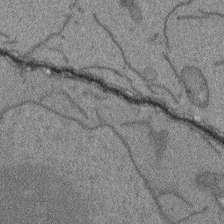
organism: Arabidopsis thaliana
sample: Root tip